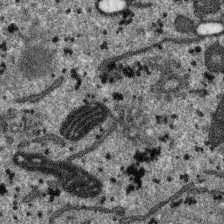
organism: Human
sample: Lung epithelial cells infected with SARS-CoV-2